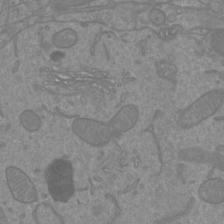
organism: Mouse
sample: Cortical neurons